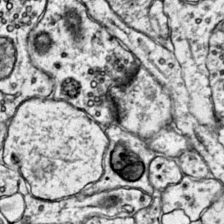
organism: Mouse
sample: Primary visual cortex